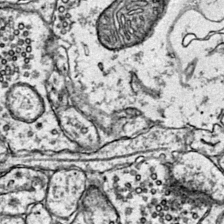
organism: Mouse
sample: Primary visual cortex